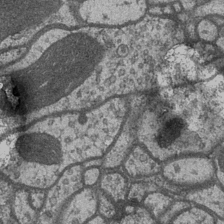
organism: Drosophila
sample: Optic medulla